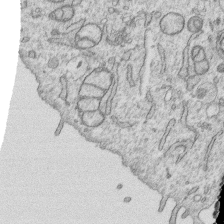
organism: Human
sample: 1205lu cells